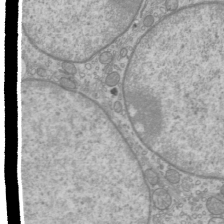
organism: Mouse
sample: Cilia; mouse epididymis